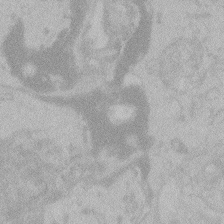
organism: Zebrafish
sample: Macrophage infected with Toxoplasma gondii